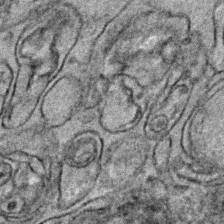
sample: Trachea